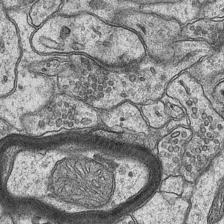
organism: Mouse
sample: CA1 Hippocampus